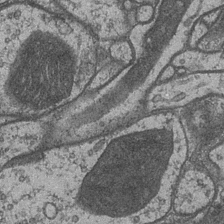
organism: Drosophila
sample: Optic medulla